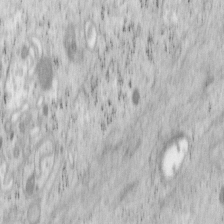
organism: Human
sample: HeLa cells